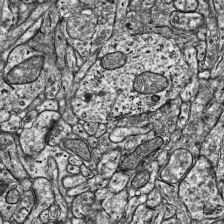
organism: Mouse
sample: Visual Cortex